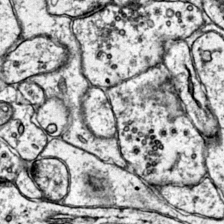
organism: Mouse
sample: Primary visual cortex